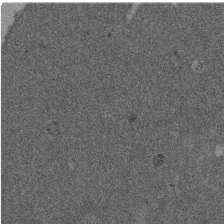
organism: Mouse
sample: Dividing mouse embryo 1 cell stage